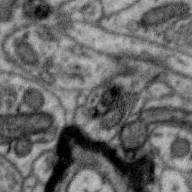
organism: Zebra finch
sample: Brain